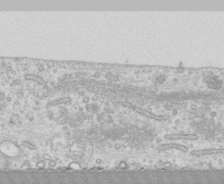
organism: Human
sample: CRL-1474